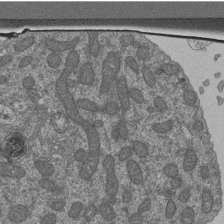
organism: Human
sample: Retinal organoid Rod and Cone cells